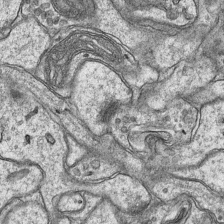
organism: Mouse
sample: CA1 Hippocampus